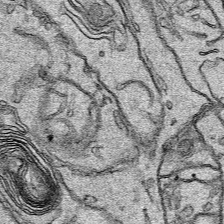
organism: Human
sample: Mitochondria in HCT116 cells